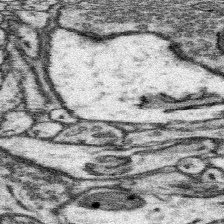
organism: Mouse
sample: Somatosensory cortex neuropil